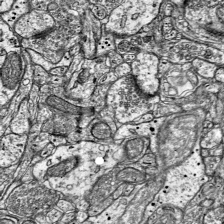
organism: Mouse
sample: Visual Cortex